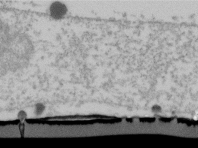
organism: Human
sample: U2-OS cells